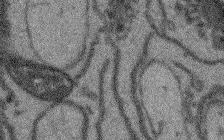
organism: Arabidopsis thaliana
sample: Root tip